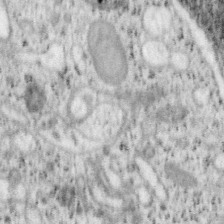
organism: Mouse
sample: OT-I killer T cells with ID8 ovarian cancer cells